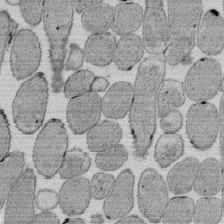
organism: E. coli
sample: Bacterial nucleoid